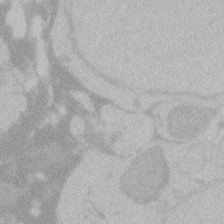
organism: Zebrafish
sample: Macrophage infected with Toxoplasma gondii